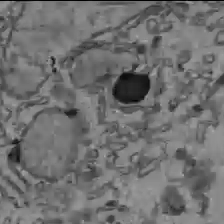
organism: C57BL Mouse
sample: Liver